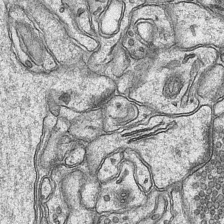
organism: Mouse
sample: CA1 Hippocampus